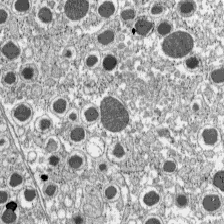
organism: C57BL Mouse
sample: Pancreatic islet